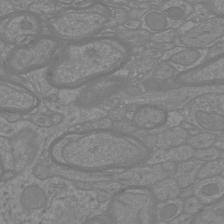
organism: Mouse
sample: Cortical neurons